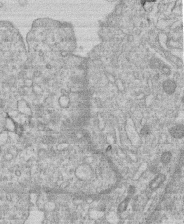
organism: Human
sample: Macrophage cells